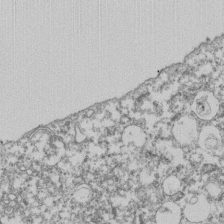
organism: Dictyostelium discoideum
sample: Dictyostelium multivesicular bodies